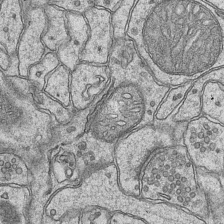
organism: Mouse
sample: CA1 Hippocampus